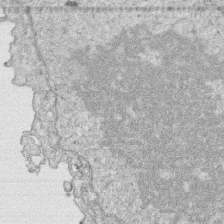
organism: Human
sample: HeLa cell HIV synapse